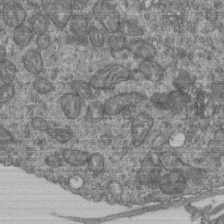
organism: Human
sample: Retinal organoid Rod and Cone cells